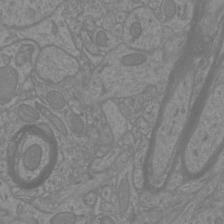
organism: Mouse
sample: Cortical neurons